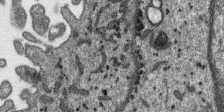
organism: Human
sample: Lung epithelial cells infected with SARS-CoV-2